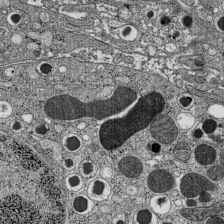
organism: C57BL Mouse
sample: Pancreatic islet